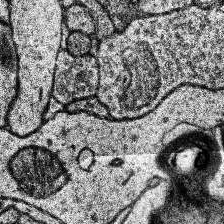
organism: Human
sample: Temporal Lobe